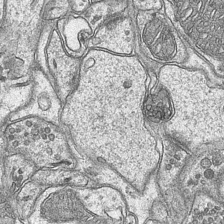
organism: Mouse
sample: CA1 Hippocampus